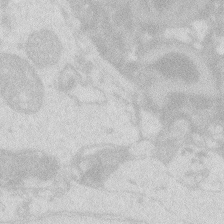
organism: Zebrafish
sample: Macrophage